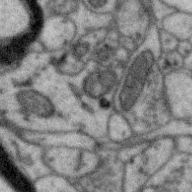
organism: Zebra finch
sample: Brain